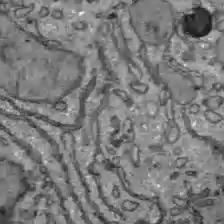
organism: C57BL Mouse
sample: Liver